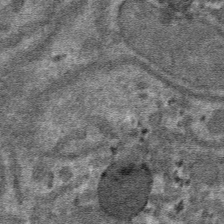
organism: Mouse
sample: Mouse hepatocytes